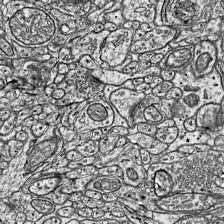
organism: Mouse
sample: Visual Cortex